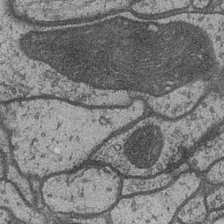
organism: Drosophila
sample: Optic medulla